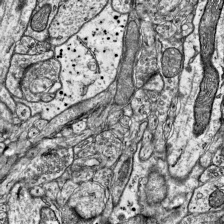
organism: Mouse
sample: Visual Cortex